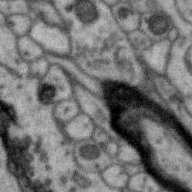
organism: Zebra finch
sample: Brain